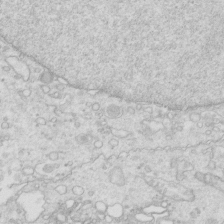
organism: Mouse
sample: Multiciliated cells